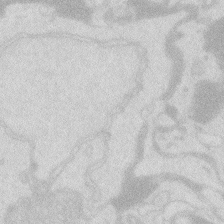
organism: Zebrafish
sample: Macrophage